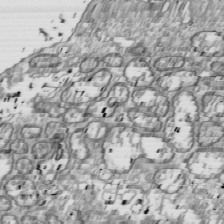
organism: Drosophila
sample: Cell division; meiosis; drosophila spermatocytes